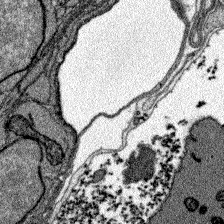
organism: Zebrafish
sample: Larval olfactory bulb